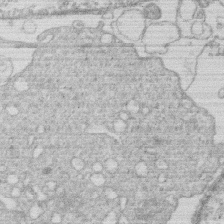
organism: Human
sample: Macrophage cells